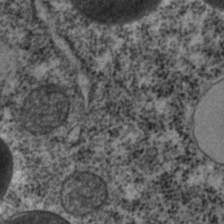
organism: C. elegans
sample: C. elegans embryo